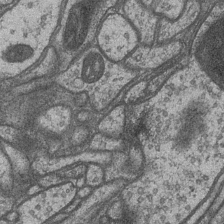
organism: Drosophila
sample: Optic medulla